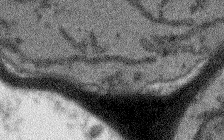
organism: Arabidopsis thaliana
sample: Root tip